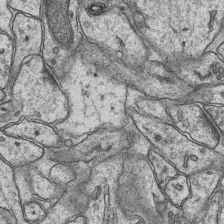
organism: Mouse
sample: CA1 Hippocampus